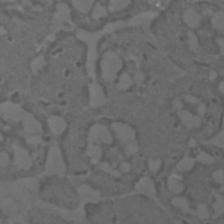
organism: C. elegans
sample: C. elegans embryo